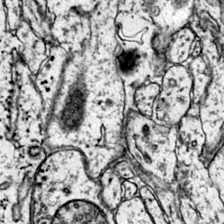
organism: Mouse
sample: Primary visual cortex